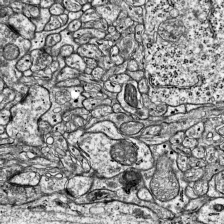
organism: Mouse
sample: Visual Cortex